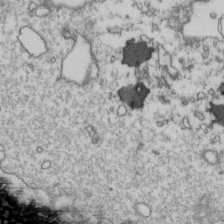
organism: Human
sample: Activated Jurkat CD4+ T cells